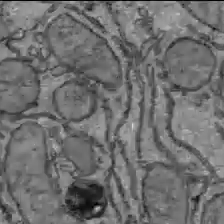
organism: C57BL Mouse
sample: Liver